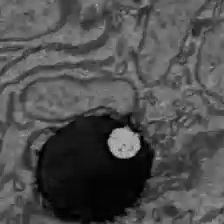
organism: C57BL Mouse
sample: Liver